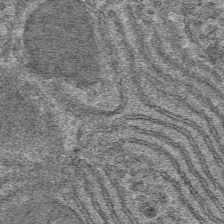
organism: Mouse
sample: Mouse hepatocytes